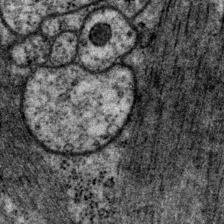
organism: P. pacificus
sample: Pharynx